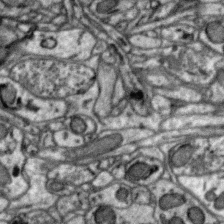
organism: Zebra finch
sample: Brain